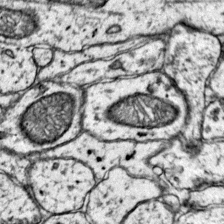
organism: Mouse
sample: Primary visual cortex